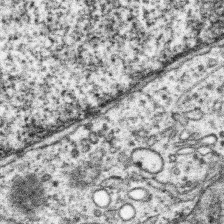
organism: Human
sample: HeLa cells